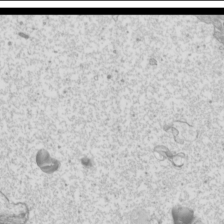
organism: Mouse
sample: Cilia; mouse epididymis